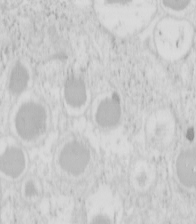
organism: Mouse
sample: Pancreas